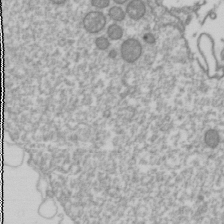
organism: Drosophila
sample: Cell division; meiosis; drosophila spermatocytes